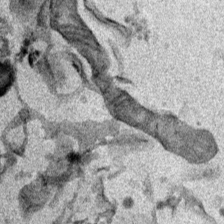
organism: Mouse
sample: Cancer cell death in ED-1 cells